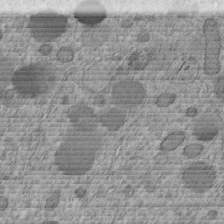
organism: C. elegans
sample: C. elegans embryo early stage